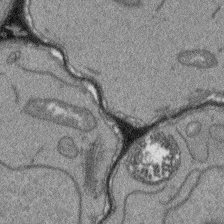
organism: Arabidopsis thaliana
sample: Root tip